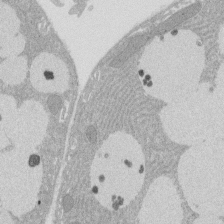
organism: Rat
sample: Salivary granule